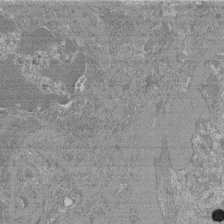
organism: Mouse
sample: Glomerulus